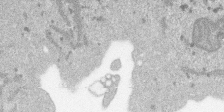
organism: Human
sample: Lung epithelial cells infected with SARS-CoV-2